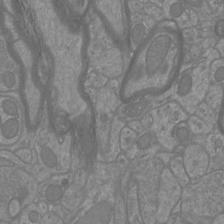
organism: Mouse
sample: Cortical neurons